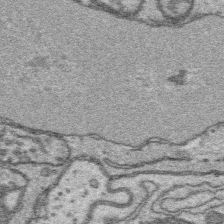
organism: Platynereis dumerilii